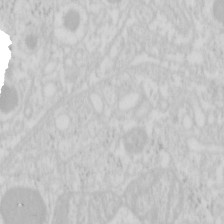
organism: Mouse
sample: Pancreas